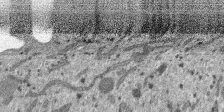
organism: Human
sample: Lung epithelial cells infected with SARS-CoV-2